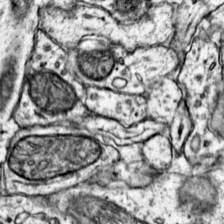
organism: Mouse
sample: Primary visual cortex